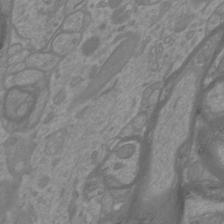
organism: Mouse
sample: Cortical neurons